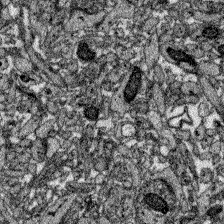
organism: Zebrafish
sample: Larval olfactory bulb